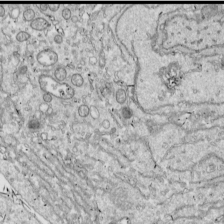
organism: Drosophila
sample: Cell division; meiosis; drosophila spermatocytes